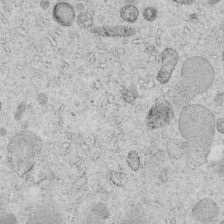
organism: C. elegans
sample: C. elegans embryo early stage